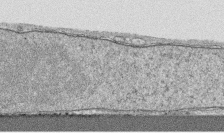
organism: Human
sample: CRL-1474